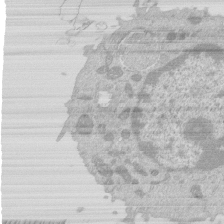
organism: Mouse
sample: Activated Pmel transgenic CD8+ T Cells